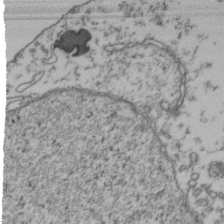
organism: Human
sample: Activated Jurkat CD4+ T cells